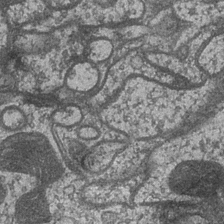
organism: Drosophila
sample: Optic medulla